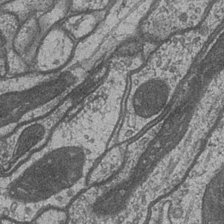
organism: Drosophila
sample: Optic medulla